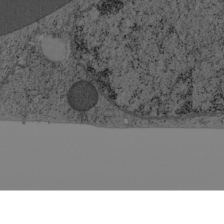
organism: African green monkey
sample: COS-7 cells